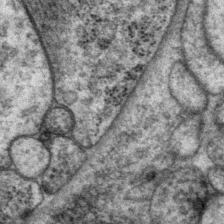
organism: P. pacificus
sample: Pharynx